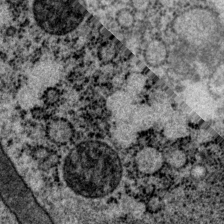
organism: P. pacificus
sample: Pharynx